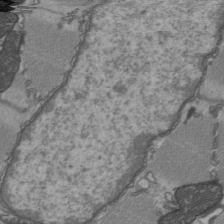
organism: C57BL Mouse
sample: Heart